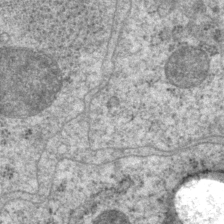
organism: P. pacificus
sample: Pharynx